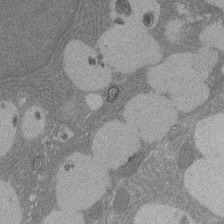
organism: Rat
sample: Salivary granule